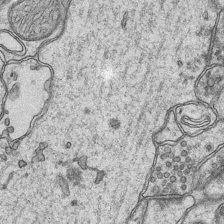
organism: Mouse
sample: CA1 Hippocampus